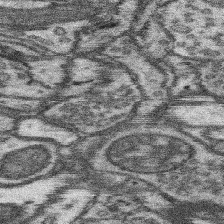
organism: Mouse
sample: Somatosensory cortex neuropil